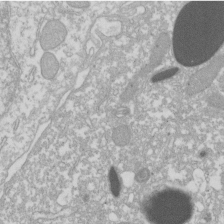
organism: Xenopus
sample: Cilia; centrioles in frog embryo cells